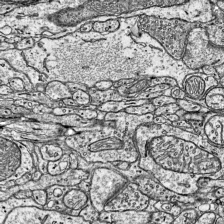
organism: Mouse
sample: Visual Cortex